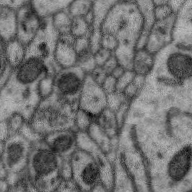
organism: Zebra finch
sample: Brain